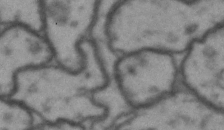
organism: Drosophila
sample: Brain